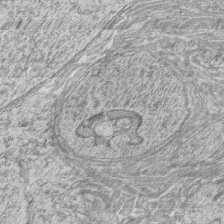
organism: Zebrafish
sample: synaptic ribbons in rod cells and cone cells